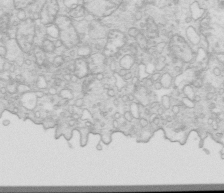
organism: Mouse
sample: Multiciliated cells